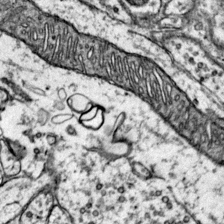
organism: Mouse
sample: Primary visual cortex